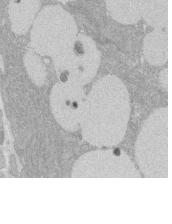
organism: Rat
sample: Salivary granule